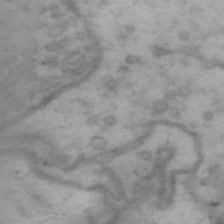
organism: Drosophila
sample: Brain